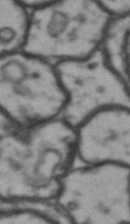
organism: Drosophila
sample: Brain